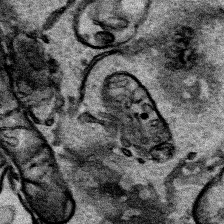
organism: Human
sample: Mitochondria in HCT116 cells